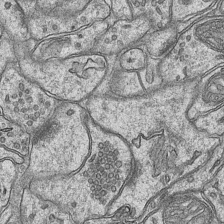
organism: Mouse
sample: CA1 Hippocampus